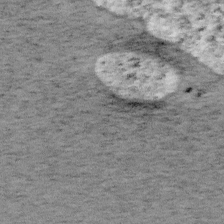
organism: Mouse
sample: OT-I killer T cells with ID8 ovarian cancer cells